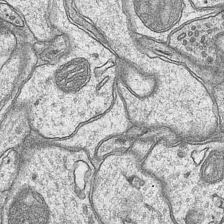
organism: Mouse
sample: CA1 Hippocampus